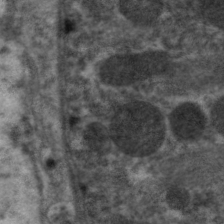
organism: C. elegans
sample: Pharynx